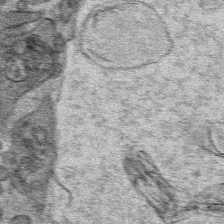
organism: Mouse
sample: Mouse hepatocytes